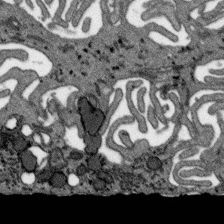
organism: Human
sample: Lung epithelial cells, uninfected (mock) control